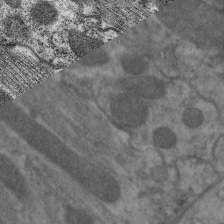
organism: C. elegans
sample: Pharynx